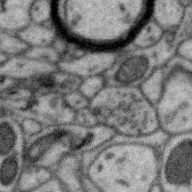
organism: Zebra finch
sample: Brain